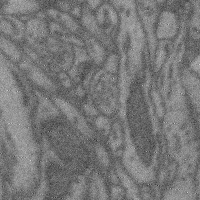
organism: Mouse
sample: Cerebral cortex